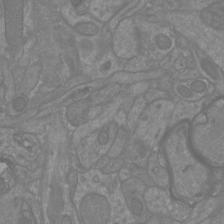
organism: Mouse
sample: Cortical neurons